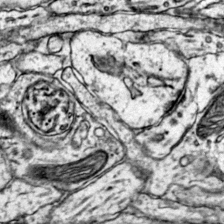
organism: Mouse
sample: Primary visual cortex